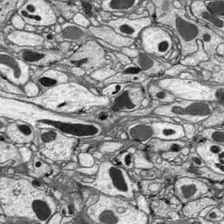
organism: Drosophila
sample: Optic lobe